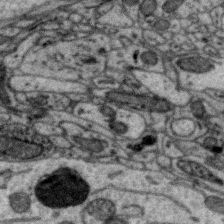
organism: Zebra finch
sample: Brain